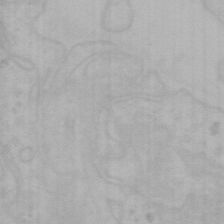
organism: Mouse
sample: Choroid plexus